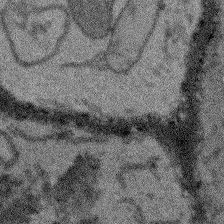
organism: Arabidopsis thaliana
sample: Root tip